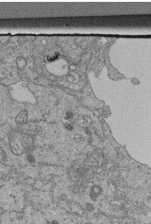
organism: Human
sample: Retinal organoid Rod and Cone cells